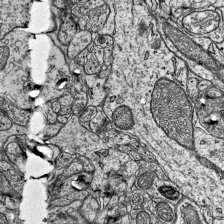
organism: Mouse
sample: Visual Cortex